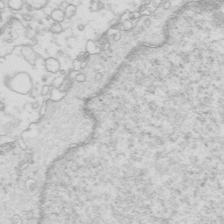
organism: Mouse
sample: Multiciliated cells